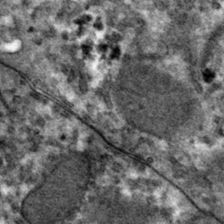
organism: Mouse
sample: Mouse hepatocytes